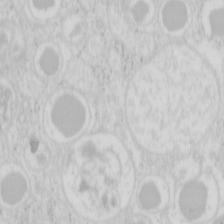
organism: Mouse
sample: Pancreas